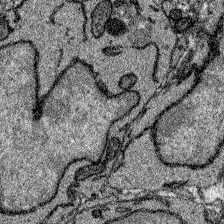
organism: Zebrafish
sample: Larval olfactory bulb